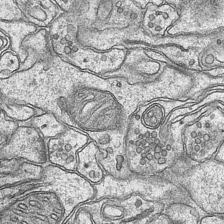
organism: Mouse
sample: CA1 Hippocampus